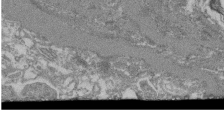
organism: Mouse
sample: Glomerulus